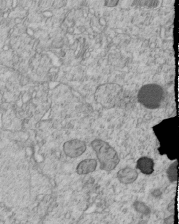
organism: C. elegans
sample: C. elegans embryo early stage